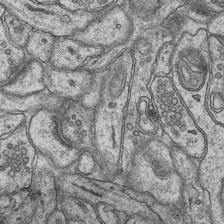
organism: Mouse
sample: CA1 Hippocampus